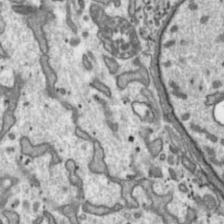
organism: Toxoplasma gondii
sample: Parasites in a vacuole inside a host cell